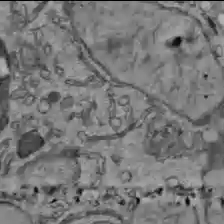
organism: C57BL Mouse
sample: Liver